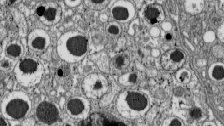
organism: C57BL Mouse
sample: Pancreatic islet